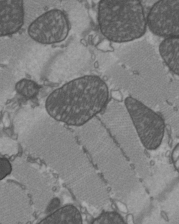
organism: C57BL Mouse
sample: Heart